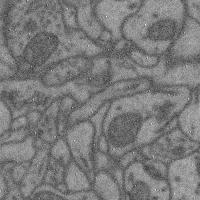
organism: Mouse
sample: Cerebral cortex